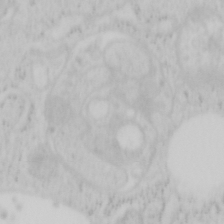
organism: Mouse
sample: OT-I killer T cells with ID8 ovarian cancer cells